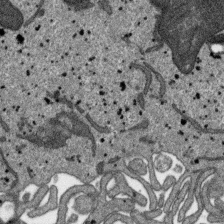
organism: Human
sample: Lung epithelial cells, uninfected (mock) control